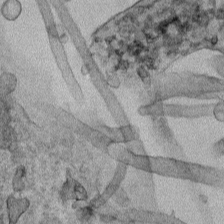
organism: Human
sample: Mitochondria in HCT116 cells